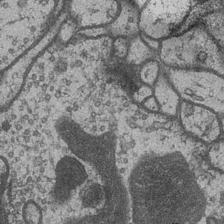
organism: Drosophila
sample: Optic medulla